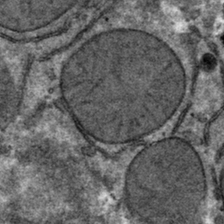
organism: Mouse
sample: Mouse hepatocytes